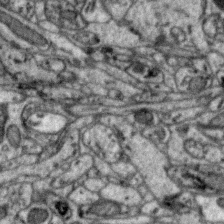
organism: Zebra finch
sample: Brain